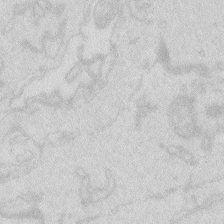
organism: Zebrafish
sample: Macrophage